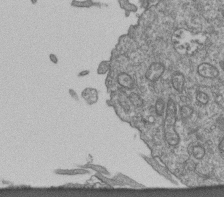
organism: Human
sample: Retinal organoid Rod and Cone cells